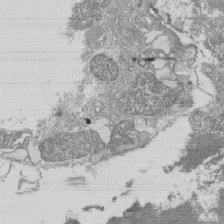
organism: Tetrahymena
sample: Cilia in tetrahymena